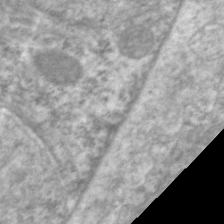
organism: C. elegans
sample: Pharynx